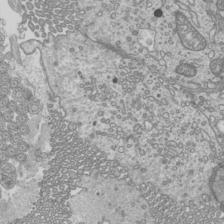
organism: Mouse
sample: Cilia; mouse epididymis